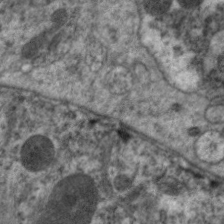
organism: C. elegans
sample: Pharynx